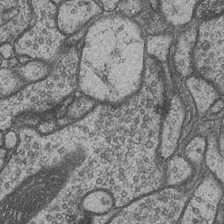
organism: Drosophila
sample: Optic medulla